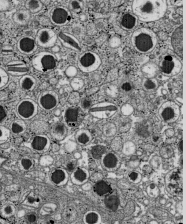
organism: C57BL Mouse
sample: Pancreatic islet